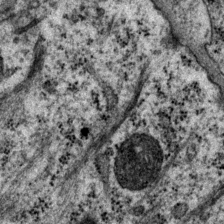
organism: P. pacificus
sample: Pharynx